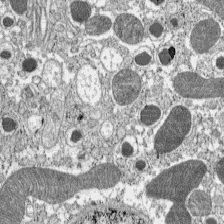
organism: C57BL Mouse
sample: Pancreatic islet